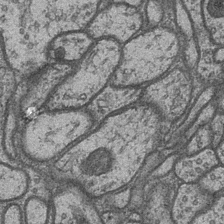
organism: Drosophila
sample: Optic medulla